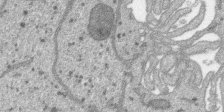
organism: Human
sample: Lung epithelial cells infected with SARS-CoV-2